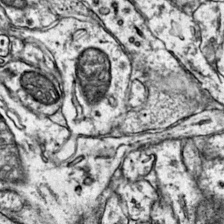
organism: Mouse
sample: Primary visual cortex